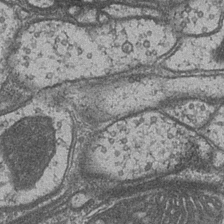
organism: Drosophila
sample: Optic medulla